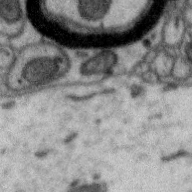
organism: Zebra finch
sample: Brain